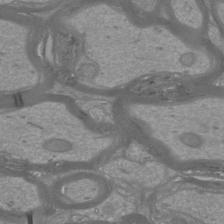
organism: Mouse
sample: Cortical neurons